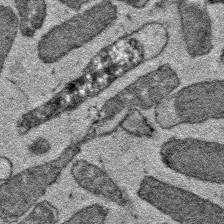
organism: E. coli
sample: E. Coli Bacteria